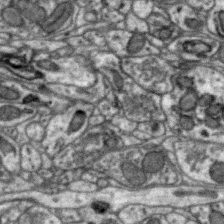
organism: Zebra finch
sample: Brain